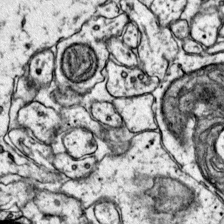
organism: Mouse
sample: Primary visual cortex